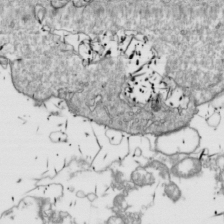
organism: Drosophila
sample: Cell division; meiosis; drosophila spermatocytes